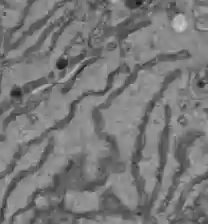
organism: C57BL Mouse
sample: Liver